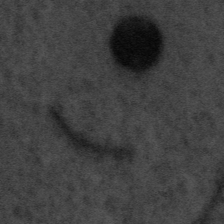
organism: Tuwongella immobilis